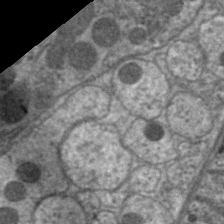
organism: C. elegans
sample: Pharynx